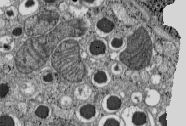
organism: C57BL Mouse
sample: Pancreatic islet